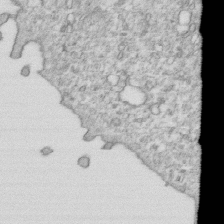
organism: Mouse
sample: Activated OT-1 CD8+ T cells